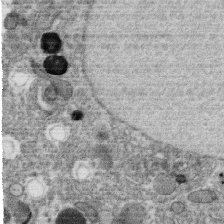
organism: C. elegans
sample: C. elegans oocyte; sperm cells